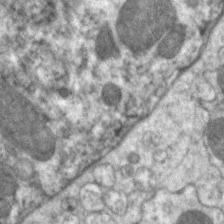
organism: C. elegans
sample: Pharynx